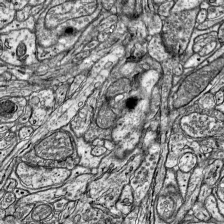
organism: Mouse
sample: Visual Cortex